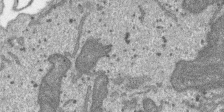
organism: Human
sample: Lung epithelial cells infected with SARS-CoV-2